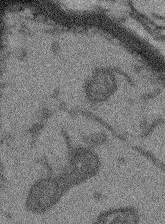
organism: Arabidopsis thaliana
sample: Root tip